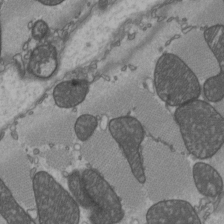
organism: C57BL Mouse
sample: Heart